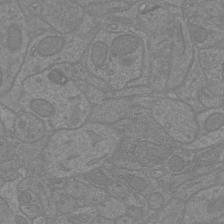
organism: Mouse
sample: Cortical neurons